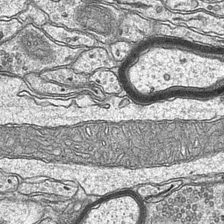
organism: Mouse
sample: CA1 Hippocampus